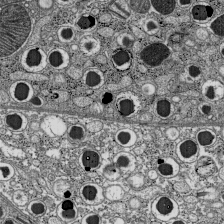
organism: C57BL Mouse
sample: Pancreatic islet